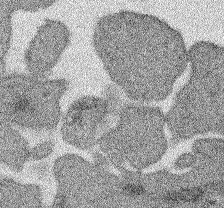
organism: Human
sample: HeLa cells